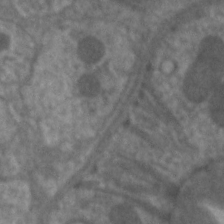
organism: C. elegans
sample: Pharynx